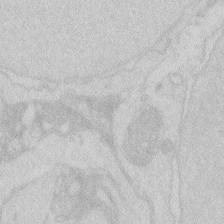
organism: Zebrafish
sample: Macrophage